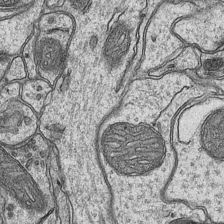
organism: Mouse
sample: CA1 Hippocampus